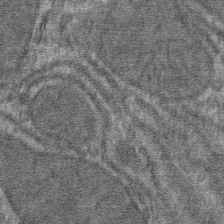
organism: Mouse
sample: Mouse hepatocytes